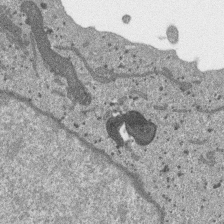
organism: Human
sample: Lung epithelial cells infected with SARS-CoV-2